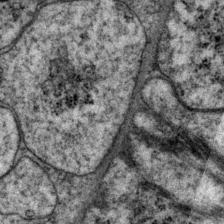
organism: P. pacificus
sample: Pharynx